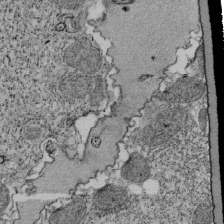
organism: Tetrahymena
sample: Cilia in tetrahymena